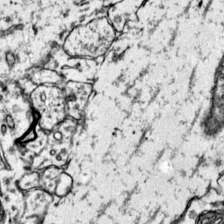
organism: Mouse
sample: Primary visual cortex